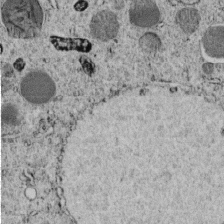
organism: C. elegans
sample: C. elegans embryo early stage